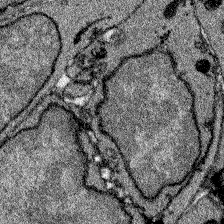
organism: Zebrafish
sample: Larval olfactory bulb